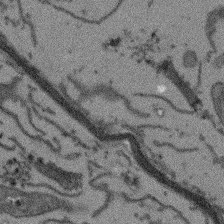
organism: Arabidopsis thaliana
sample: Root tip